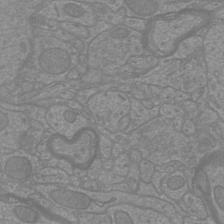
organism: Mouse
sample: Cortical neurons